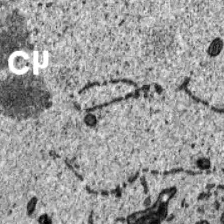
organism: Human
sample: HeLa cells